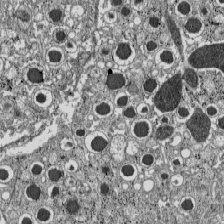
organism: C57BL Mouse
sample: Pancreatic islet